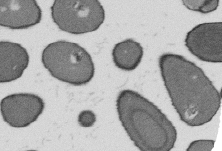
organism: B. subtilis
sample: Bacterial spore